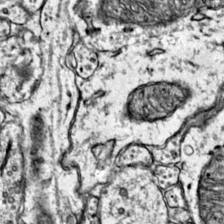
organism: Mouse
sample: Primary visual cortex